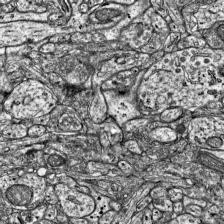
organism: Mouse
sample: Visual Cortex